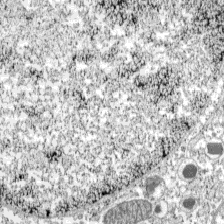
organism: C57BL Mouse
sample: Pancreatic islet